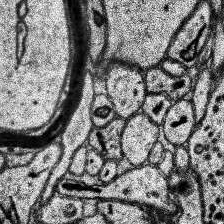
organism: Human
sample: Temporal Lobe